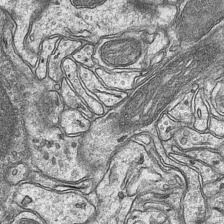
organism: Mouse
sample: CA1 Hippocampus